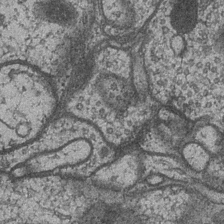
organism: Drosophila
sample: Optic medulla